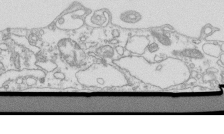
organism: Mouse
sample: Macrophages